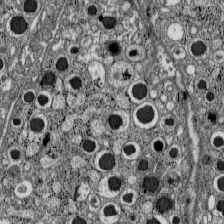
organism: C57BL Mouse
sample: Pancreatic islet